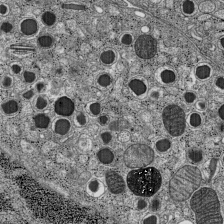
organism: C57BL Mouse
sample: Pancreatic islet